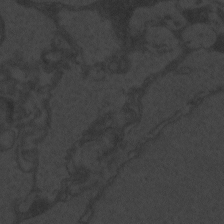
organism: Zebrafish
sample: Macrophage infected with Toxoplasma gondii